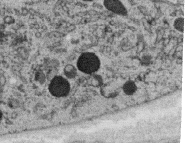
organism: C. elegans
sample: C. elegans oocyte; sperm cells